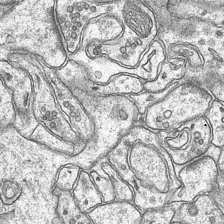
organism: Mouse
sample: CA1 Hippocampus